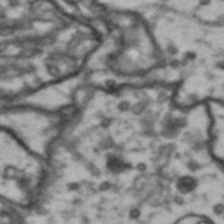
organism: Drosophila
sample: Brain